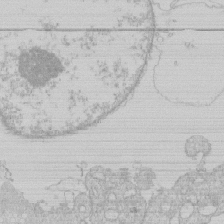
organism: Human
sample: Macrophage cells